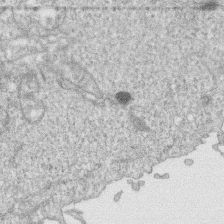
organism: Human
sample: HeLa cell HIV synapse